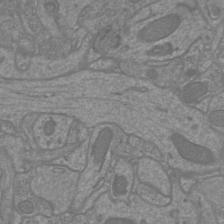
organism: Mouse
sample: Cortical neurons